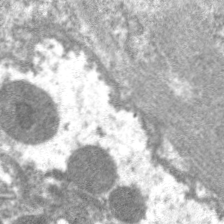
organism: C. elegans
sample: Pharynx